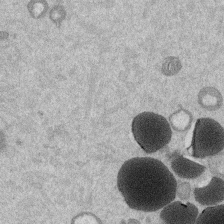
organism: Mouse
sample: Dividing mouse embryo 1 cell stage